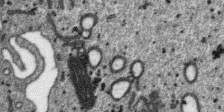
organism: Human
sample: Lung epithelial cells infected with SARS-CoV-2